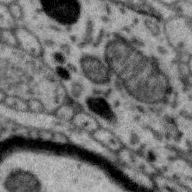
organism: Zebra finch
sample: Brain